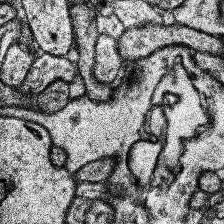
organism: Human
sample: Temporal Lobe